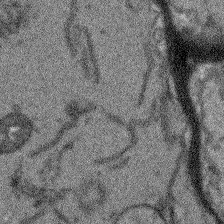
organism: Arabidopsis thaliana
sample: Root tip